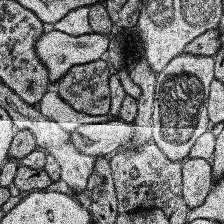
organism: Human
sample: Temporal Lobe